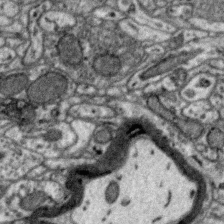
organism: Zebra finch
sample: Brain